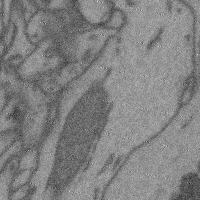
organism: Mouse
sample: Cerebral cortex